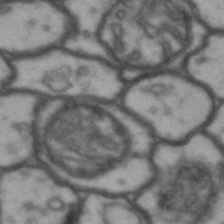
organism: Drosophila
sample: Brain